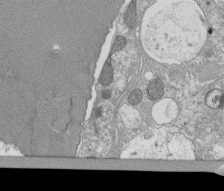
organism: Tetrahymena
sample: Cilia in tetrahymena